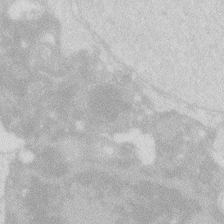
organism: Zebrafish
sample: Macrophage